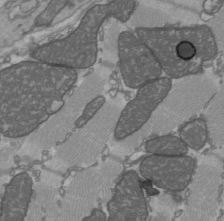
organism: C57BL Mouse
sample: Heart